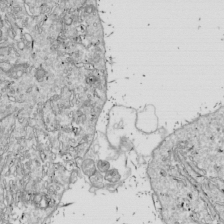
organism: Drosophila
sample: Cell division; meiosis; drosophila spermatocytes